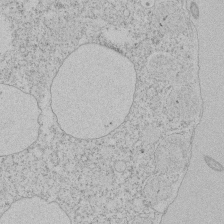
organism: Tetrahymena